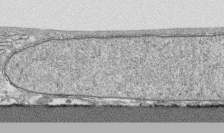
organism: Human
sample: CRL-1474